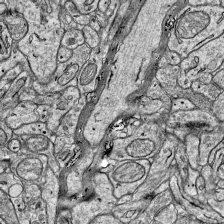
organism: Mouse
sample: Visual Cortex